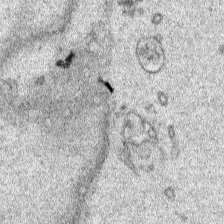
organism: Human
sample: Mitochondria in HCT116 cells